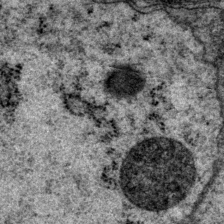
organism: P. pacificus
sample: Pharynx